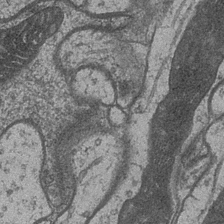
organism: Drosophila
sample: Optic medulla